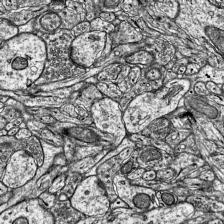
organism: Mouse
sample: Visual Cortex